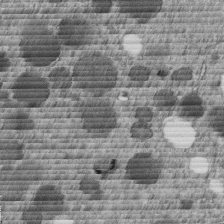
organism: C. elegans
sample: C. elegans embryo early stage